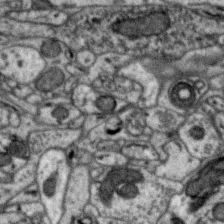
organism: Zebra finch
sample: Brain